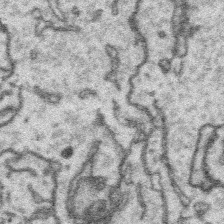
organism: Platynereis dumerilii